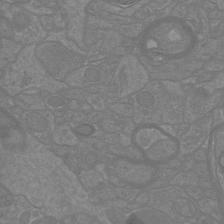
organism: Mouse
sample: Cortical neurons